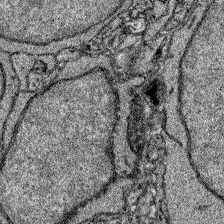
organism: Zebrafish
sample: Larval olfactory bulb